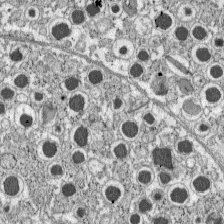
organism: C57BL Mouse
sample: Pancreatic islet